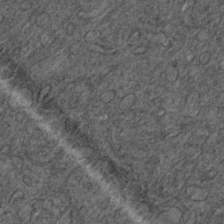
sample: Trachea